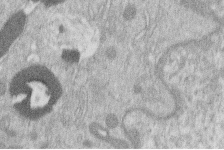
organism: Human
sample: Macrophage cells